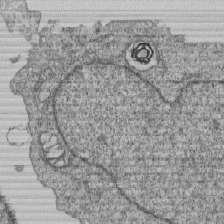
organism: Human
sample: MDA-MB-231 cells